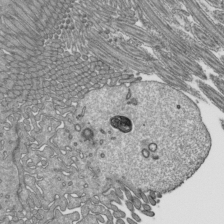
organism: Mouse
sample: Mouse epididymis efferent ductule cilia